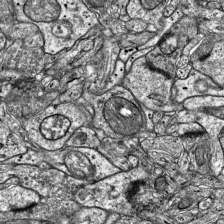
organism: Mouse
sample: Visual Cortex